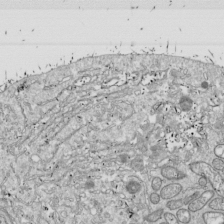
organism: Drosophila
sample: Cell division; meiosis; drosophila spermatocytes